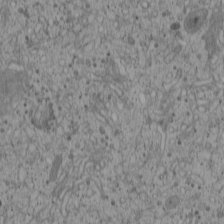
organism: African green monkey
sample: COS-7 cells